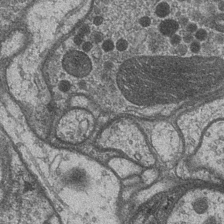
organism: Drosophila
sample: Optic medulla